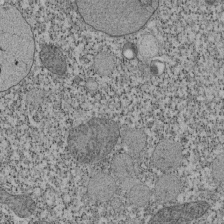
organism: Tetrahymena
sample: Cilia in tetrahymena